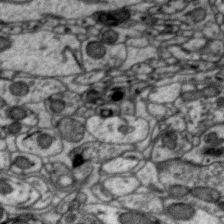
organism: Zebra finch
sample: Brain